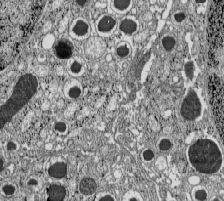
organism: C57BL Mouse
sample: Pancreatic islet